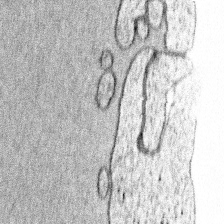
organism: Human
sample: HeLa cells